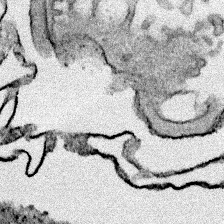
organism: Human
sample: Mitochondria in HCT116 cells